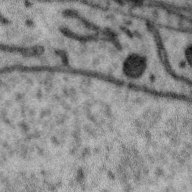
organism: Zebra finch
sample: Brain